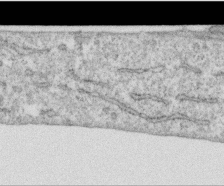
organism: Human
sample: Centriole in RPE cells